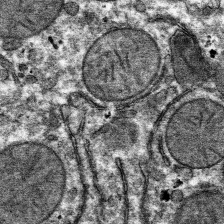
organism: Mouse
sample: Mouse hepatocytes